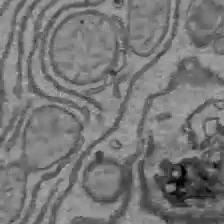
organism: C57BL Mouse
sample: Liver